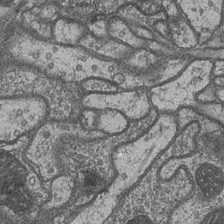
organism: Drosophila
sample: Optic medulla